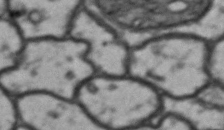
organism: Drosophila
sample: Brain